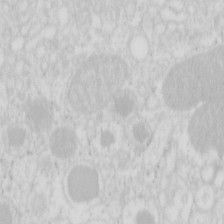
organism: Mouse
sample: Pancreas